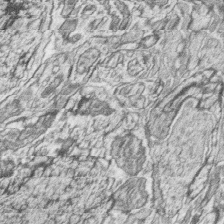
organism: Zebrafish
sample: synaptic ribbons in rod cells and cone cells